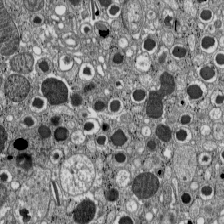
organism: C57BL Mouse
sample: Pancreatic islet